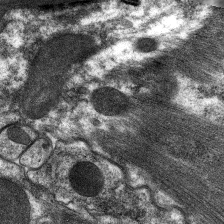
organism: C. elegans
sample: Pharynx